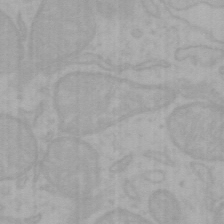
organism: Mouse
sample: Choroid plexus